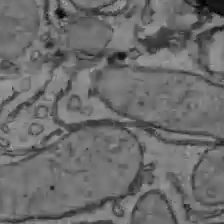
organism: C57BL Mouse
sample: Liver